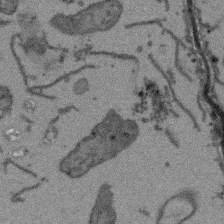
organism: Arabidopsis thaliana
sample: Root tip